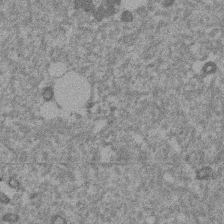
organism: Mouse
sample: Dividing mouse embryo 1 cell stage